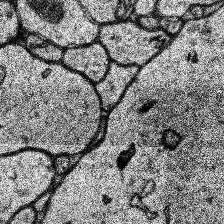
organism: Human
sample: Temporal Lobe